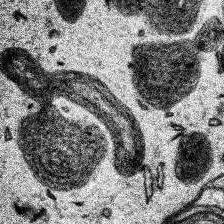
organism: Human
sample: Temporal Lobe